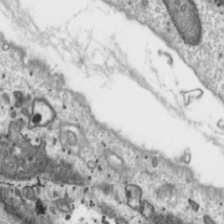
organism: Toxoplasma gondii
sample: Parasites in a vacuole inside a host cell